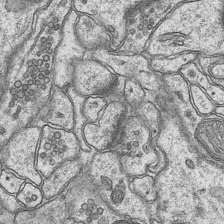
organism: Mouse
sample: CA1 Hippocampus